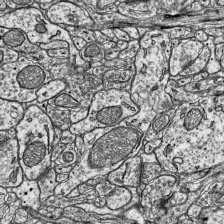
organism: Mouse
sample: Visual Cortex